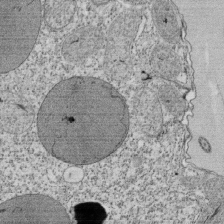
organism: Tetrahymena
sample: Cilia in tetrahymena